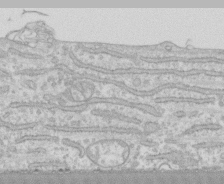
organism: Human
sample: CRL-1474